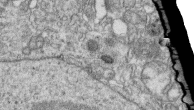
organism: Human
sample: HeLa cell HIV synapse